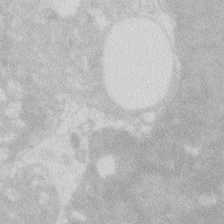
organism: Zebrafish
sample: Macrophage